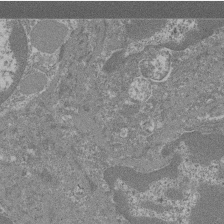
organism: Mouse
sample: Glomerulus